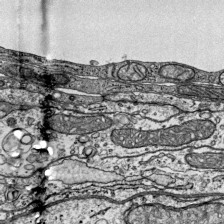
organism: Mouse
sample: Visual Cortex